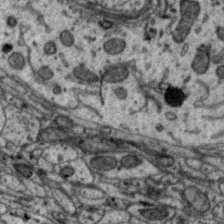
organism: Zebra finch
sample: Brain